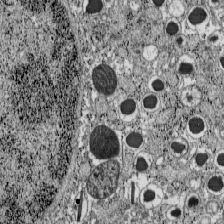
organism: C57BL Mouse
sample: Pancreatic islet